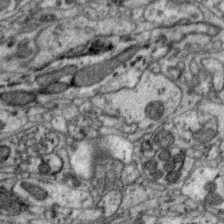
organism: Zebra finch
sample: Brain